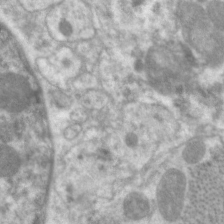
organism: C. elegans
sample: Pharynx